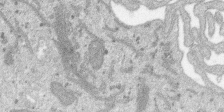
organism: Human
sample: Lung epithelial cells infected with SARS-CoV-2